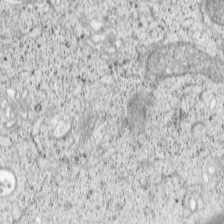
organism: African green monkey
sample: COS-7 cells